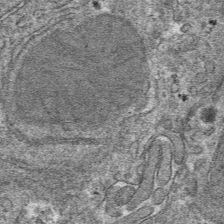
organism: Mouse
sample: Mouse hepatocytes